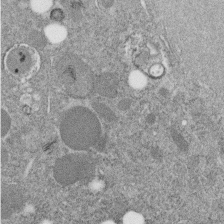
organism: C. elegans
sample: C. elegans embryo early stage